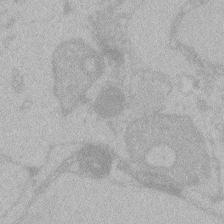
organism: Zebrafish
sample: Macrophage infected with Toxoplasma gondii